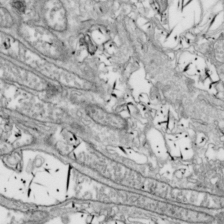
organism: Drosophila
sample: Cell division; meiosis; drosophila spermatocytes